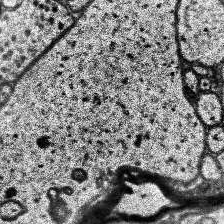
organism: Human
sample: Temporal Lobe